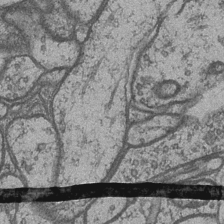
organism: Drosophila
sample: Optic medulla